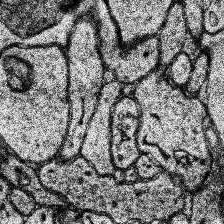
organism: Human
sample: Temporal Lobe